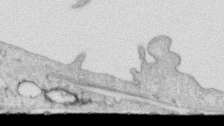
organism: Human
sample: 1205lu cells